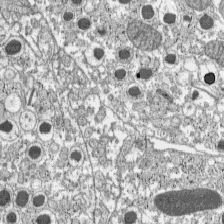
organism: C57BL Mouse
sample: Pancreatic islet